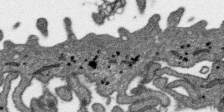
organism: Human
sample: Lung epithelial cells, uninfected (mock) control